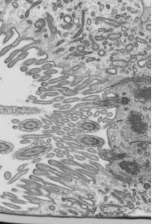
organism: Mouse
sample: Mouse epididymis efferent ductule cilia